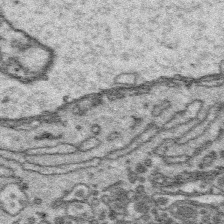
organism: Platynereis dumerilii